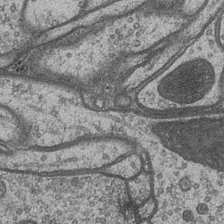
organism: Drosophila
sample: Optic medulla